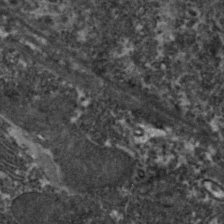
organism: Zebrafish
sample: Zebrafish embryo